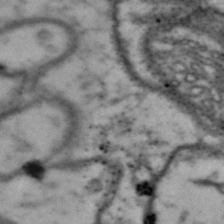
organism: Drosophila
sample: Brain